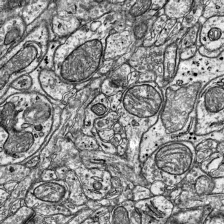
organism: Mouse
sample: Visual Cortex